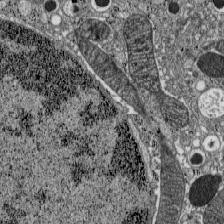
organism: C57BL Mouse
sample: Pancreatic islet